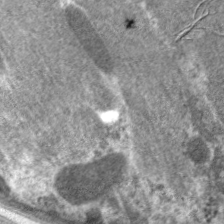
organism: C. elegans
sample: Pharynx